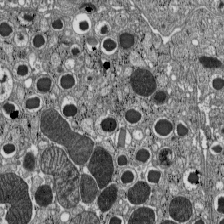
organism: C57BL Mouse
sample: Pancreatic islet